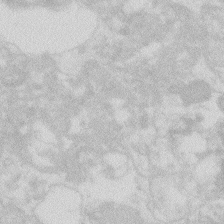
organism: Zebrafish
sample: Macrophage